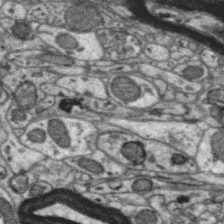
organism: Zebra finch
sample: Brain